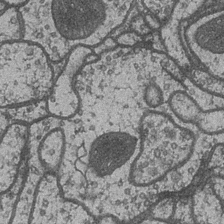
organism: Drosophila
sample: Optic medulla